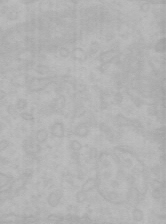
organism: Mouse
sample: Choroid plexus